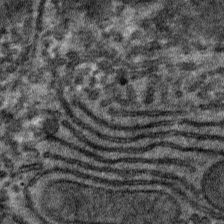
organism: Mouse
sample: Mouse hepatocytes